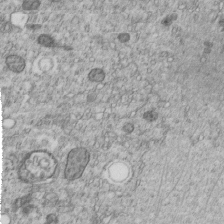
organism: C. elegans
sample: C. elegans embryo early stage